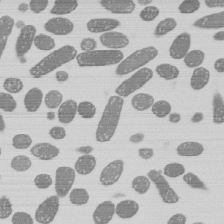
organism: E. coli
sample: Bacterial nucleoid